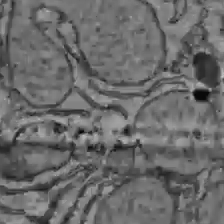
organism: C57BL Mouse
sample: Liver